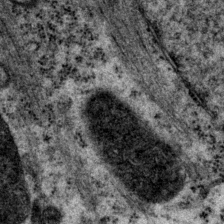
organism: P. pacificus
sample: Pharynx